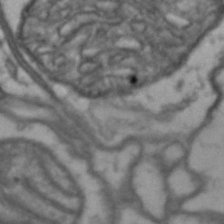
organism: Drosophila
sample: Brain